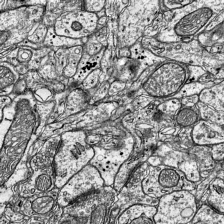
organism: Mouse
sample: Visual Cortex